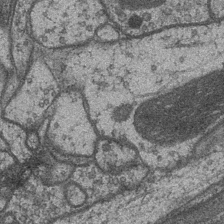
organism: Drosophila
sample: Optic medulla